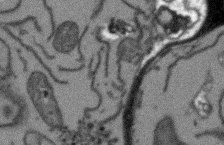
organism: Arabidopsis thaliana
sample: Root tip